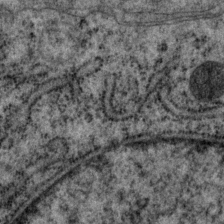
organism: P. pacificus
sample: Pharynx